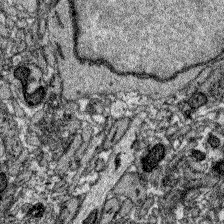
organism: Zebrafish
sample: Larval olfactory bulb